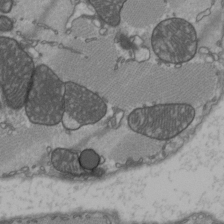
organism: C57BL Mouse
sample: Heart